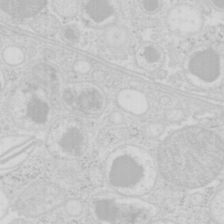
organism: Mouse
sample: Pancreas